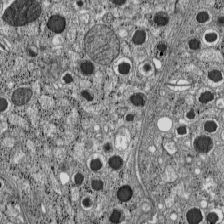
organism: C57BL Mouse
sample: Pancreatic islet